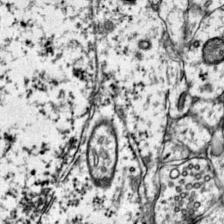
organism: Mouse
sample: Primary visual cortex